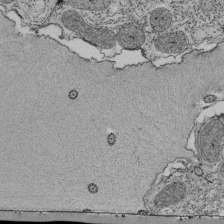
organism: Tetrahymena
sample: Cilia in tetrahymena